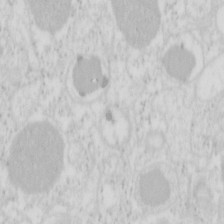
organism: Mouse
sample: Pancreas